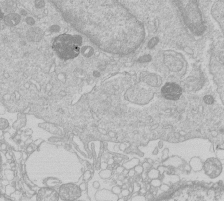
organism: Human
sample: Macrophage cells